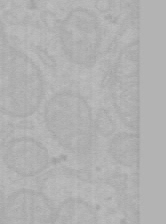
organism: Mouse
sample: Choroid plexus